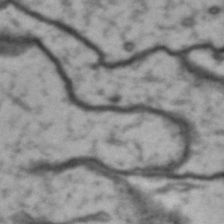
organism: Drosophila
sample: Brain